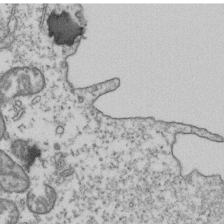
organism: Human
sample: Activated Jurkat CD4+ T cells